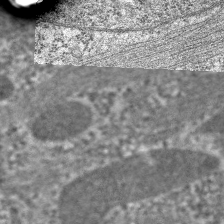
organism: C. elegans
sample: Pharynx